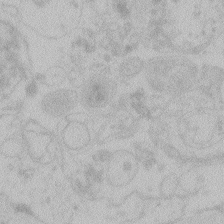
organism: Zebrafish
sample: Macrophage infected with Toxoplasma gondii